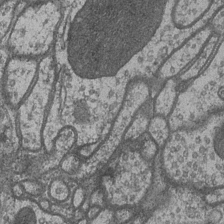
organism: Drosophila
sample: Optic medulla